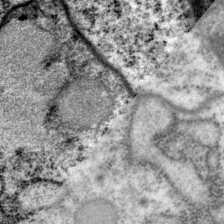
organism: P. pacificus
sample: Pharynx